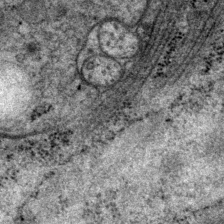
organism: P. pacificus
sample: Pharynx